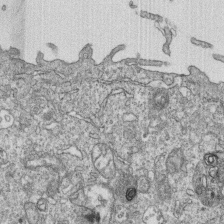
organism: Human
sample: HeLa cell HIV synapse